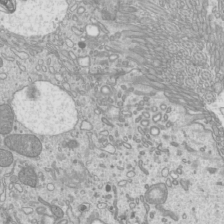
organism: Mouse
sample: Cilia; mouse epididymis